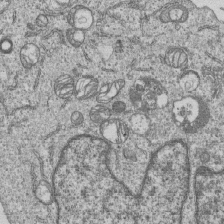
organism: Human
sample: MDA-MB-231 cells